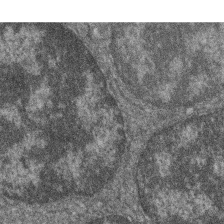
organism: Zebrafish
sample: Cilia; retinal pigment epithelium